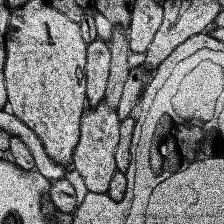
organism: Human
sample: Temporal Lobe